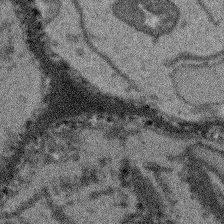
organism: Arabidopsis thaliana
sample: Root tip